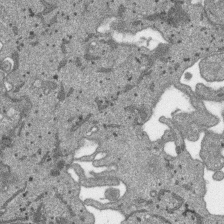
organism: Human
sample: Lung epithelial cells infected with SARS-CoV-2